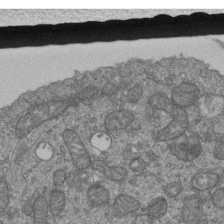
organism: Human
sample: Retinal organoid Rod and Cone cells